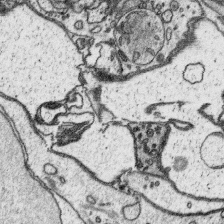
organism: Platynereis dumerilii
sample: Parapodia